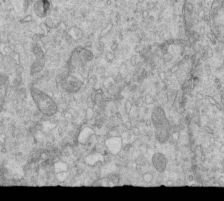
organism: Mouse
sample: Multiciliated cells